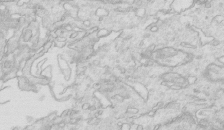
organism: Mouse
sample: Multiciliated cells